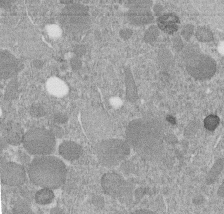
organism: C. elegans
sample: C. elegans embryo early stage